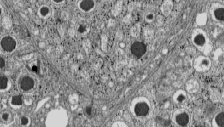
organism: C57BL Mouse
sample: Pancreatic islet